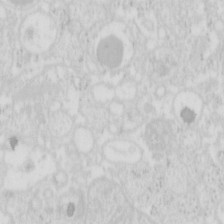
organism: Mouse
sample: Pancreas